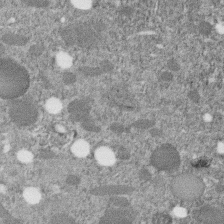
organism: C. elegans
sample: C. elegans embryo early stage